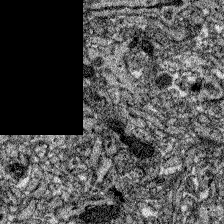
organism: Zebrafish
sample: Larval olfactory bulb